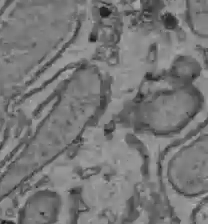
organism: C57BL Mouse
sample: Liver